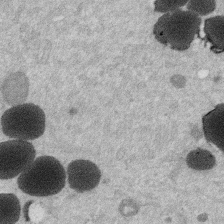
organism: Mouse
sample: Dividing mouse embryo 1 cell stage